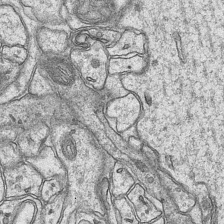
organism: Mouse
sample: CA1 Hippocampus